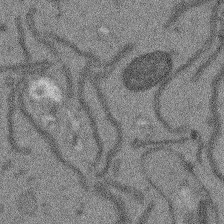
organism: Arabidopsis thaliana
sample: Root tip